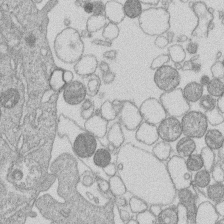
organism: Human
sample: Macrophage cells